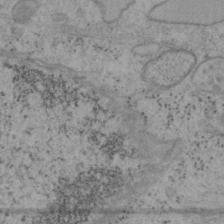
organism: Human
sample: HeLa cells